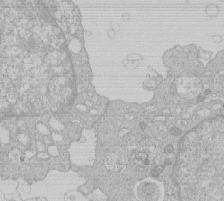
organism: Human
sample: Macrophage cells